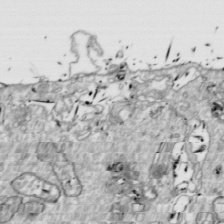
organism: Drosophila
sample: Cell division; meiosis; drosophila spermatocytes